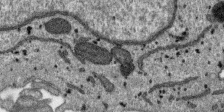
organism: Human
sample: Lung epithelial cells, uninfected (mock) control